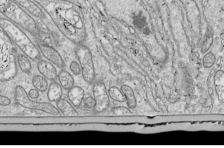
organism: Drosophila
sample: Cell division; meiosis; drosophila spermatocytes